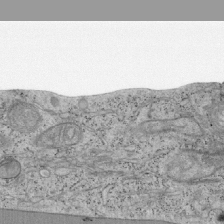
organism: Human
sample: HeLa cells